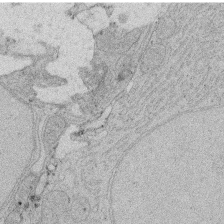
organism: Rat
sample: Salivary granule